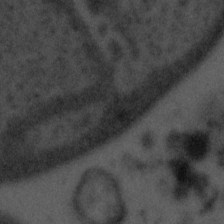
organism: Tuwongella immobilis